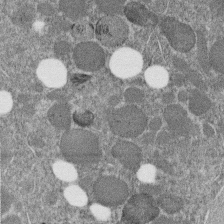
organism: C. elegans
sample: C. elegans embryo early stage